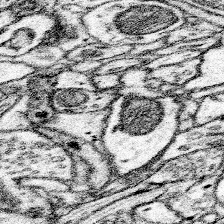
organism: Mouse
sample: Somatosensory cortex neuropil